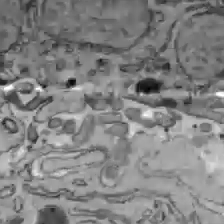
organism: C57BL Mouse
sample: Liver